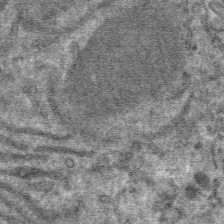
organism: Mouse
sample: Mouse hepatocytes